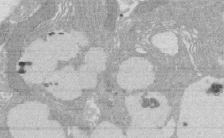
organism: Rat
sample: Salivary granule